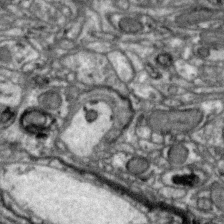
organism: Zebra finch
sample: Brain